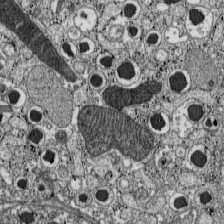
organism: C57BL Mouse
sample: Pancreatic islet